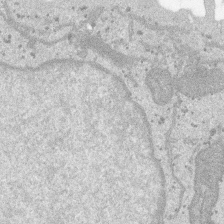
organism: Human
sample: Lung epithelial cells infected with SARS-CoV-2